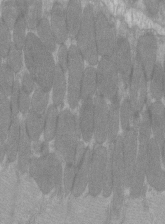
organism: C57BL Mouse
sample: Tibialis anterior muscle cell